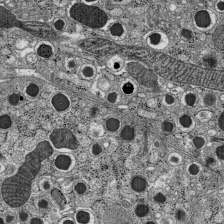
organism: C57BL Mouse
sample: Pancreatic islet